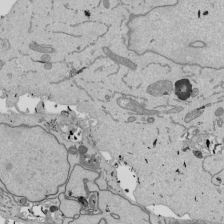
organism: Mouse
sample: ED-1 cell nuclei; centrioles